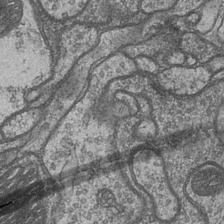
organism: Drosophila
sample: Optic medulla